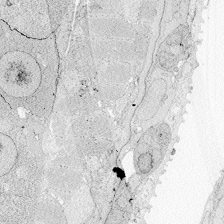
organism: Zebrafish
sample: Whole-Brain